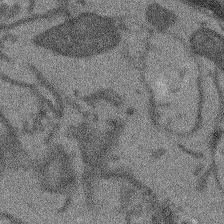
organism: Arabidopsis thaliana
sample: Root tip